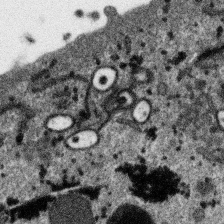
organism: Human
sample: Lung epithelial cells infected with SARS-CoV-2